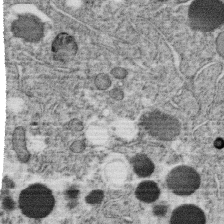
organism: C. elegans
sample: C. elegans oocyte; sperm cells